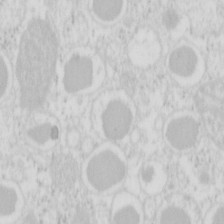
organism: Mouse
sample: Pancreas